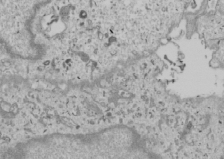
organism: Human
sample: Mitochondria in U2OS cells